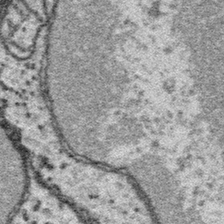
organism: Platynereis dumerilii